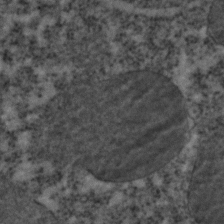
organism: C. elegans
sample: C. elegans embryo